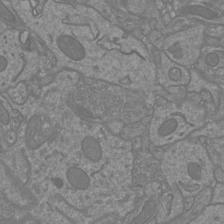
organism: Mouse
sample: Cortical neurons